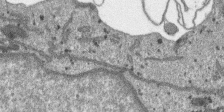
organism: Human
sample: Lung epithelial cells infected with SARS-CoV-2